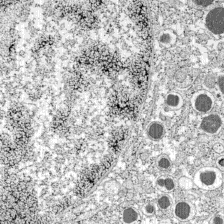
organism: C57BL Mouse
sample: Pancreatic islet